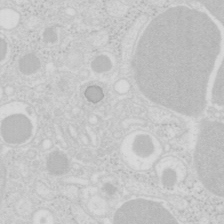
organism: Mouse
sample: Pancreas